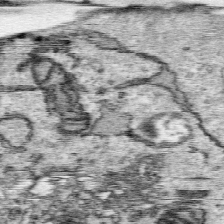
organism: Human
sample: HeLa cells